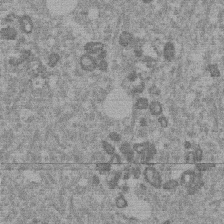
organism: Mouse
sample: Dividing mouse embryo 1 cell stage